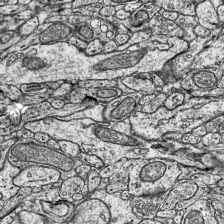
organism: Mouse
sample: Visual Cortex